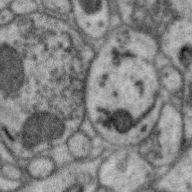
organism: Zebra finch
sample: Brain